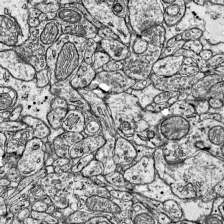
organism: Mouse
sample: Visual Cortex